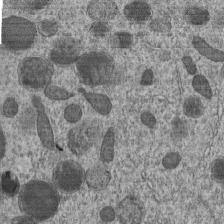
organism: C. elegans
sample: C. elegans embryo early stage